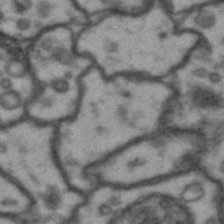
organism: Drosophila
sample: Brain